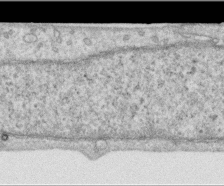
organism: Human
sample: Centriole in RPE cells